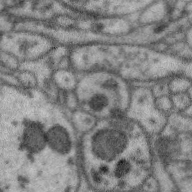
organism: Zebra finch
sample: Brain